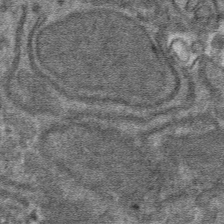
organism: Mouse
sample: Mouse hepatocytes